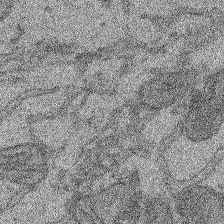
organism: Human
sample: HeLa cells